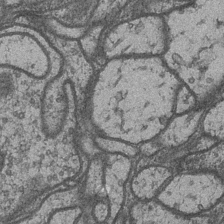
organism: Drosophila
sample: Optic medulla